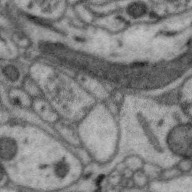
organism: Zebra finch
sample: Brain